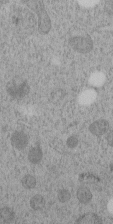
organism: C. elegans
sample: C. elegans embryo early stage